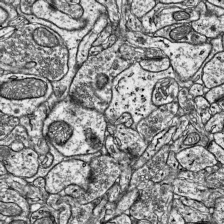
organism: Mouse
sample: Visual Cortex